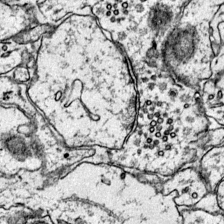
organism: Mouse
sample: Primary visual cortex